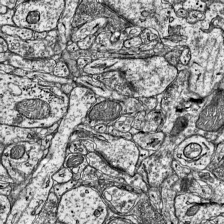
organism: Mouse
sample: Visual Cortex